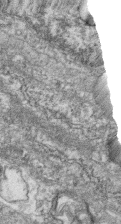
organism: Zebrafish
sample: Cilia; retinal pigment epithelium